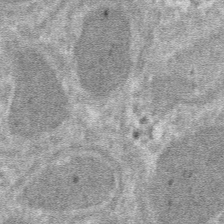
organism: Mouse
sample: Mouse hepatocytes